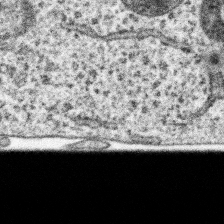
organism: Human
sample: HeLa cells